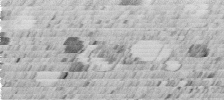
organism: C. elegans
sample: C. elegans embryo early stage